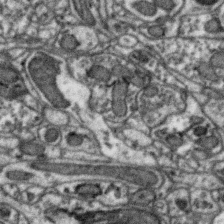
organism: Zebra finch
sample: Brain